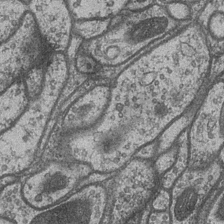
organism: Drosophila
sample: Optic medulla